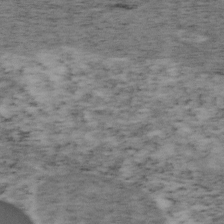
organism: Mouse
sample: OT-I killer T cells with ID8 ovarian cancer cells